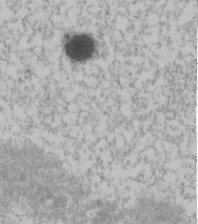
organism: Human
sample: U2-OS cells